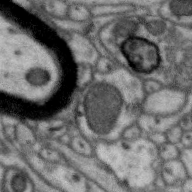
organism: Zebra finch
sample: Brain